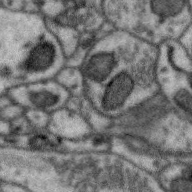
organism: Zebra finch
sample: Brain